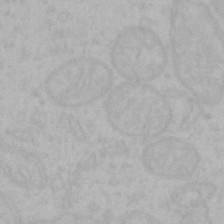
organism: Mouse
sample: Choroid plexus